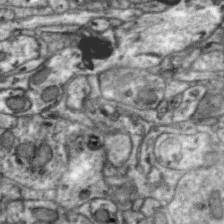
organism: Zebra finch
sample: Brain